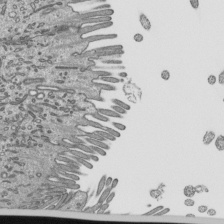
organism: Mouse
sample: Mouse epididymis efferent ductule cilia